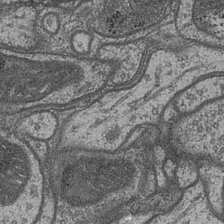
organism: Drosophila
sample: Optic medulla